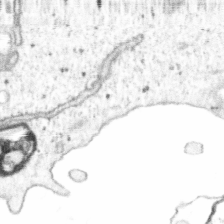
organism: Human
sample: HeLa cells